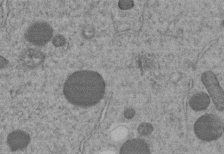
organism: C. elegans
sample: C. elegans embryo early stage